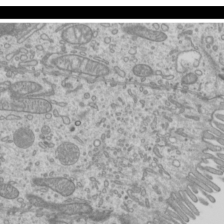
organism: Mouse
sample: Cilia; mouse epididymis